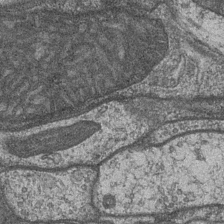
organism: Drosophila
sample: Optic medulla